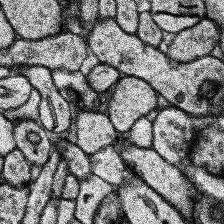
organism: Human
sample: Temporal Lobe